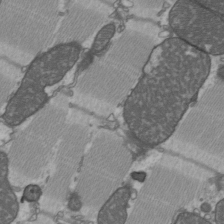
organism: C57BL Mouse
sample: Heart